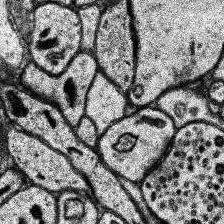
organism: Human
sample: Temporal Lobe